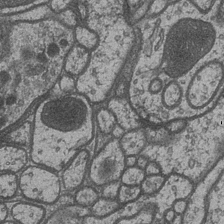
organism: Drosophila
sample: Optic medulla